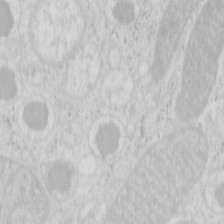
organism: Mouse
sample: Pancreas